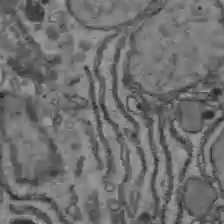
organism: C57BL Mouse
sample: Liver